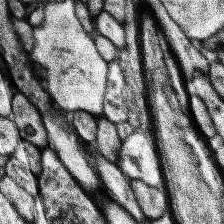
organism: Human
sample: Temporal Lobe